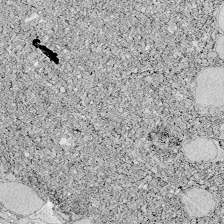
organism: Zebrafish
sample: Whole-Brain